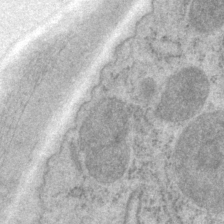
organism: P. pacificus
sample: Pharynx